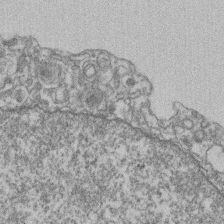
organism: Mouse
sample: T cell stromal cell synapse